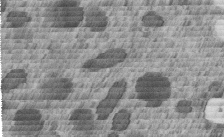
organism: C. elegans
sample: C. elegans embryo early stage